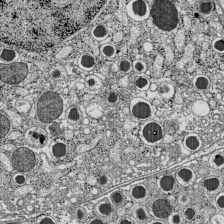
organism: C57BL Mouse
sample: Pancreatic islet